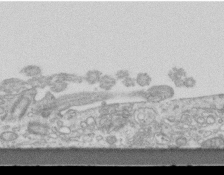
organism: Mouse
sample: Centriole in ependymal cells